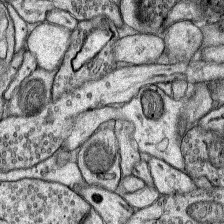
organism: Rat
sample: Hippocampus